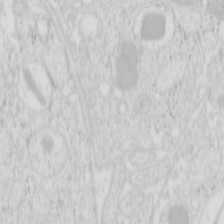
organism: Mouse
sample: Pancreas